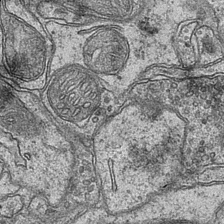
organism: Mouse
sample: CA1 Hippocampus